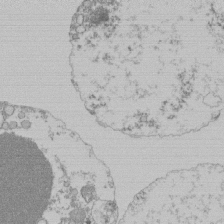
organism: Mouse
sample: Activated Pmel transgenic CD8+ T Cells